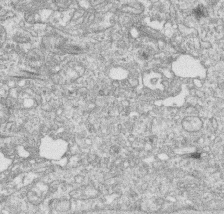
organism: Human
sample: HeLa cell HIV synapse